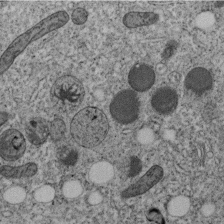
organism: C. elegans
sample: C. elegans embryo early stage